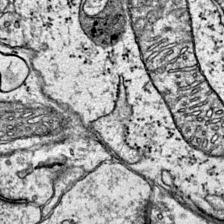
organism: Mouse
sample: Primary visual cortex